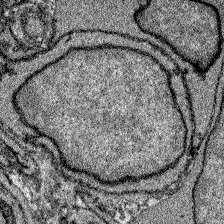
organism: Zebrafish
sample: Larval olfactory bulb